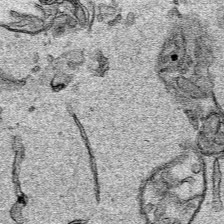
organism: Human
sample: Mitochondria in HCT116 cells